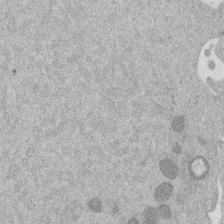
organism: Mouse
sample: Dividing mouse embryo 1 cell stage